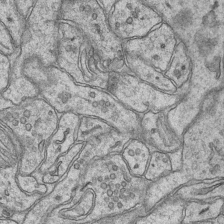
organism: Mouse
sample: CA1 Hippocampus